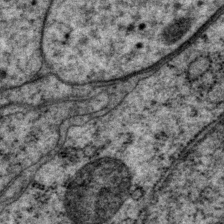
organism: P. pacificus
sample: Pharynx